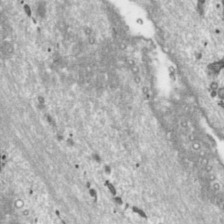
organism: Toxoplasma gondii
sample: Parasites in a vacuole inside a host cell